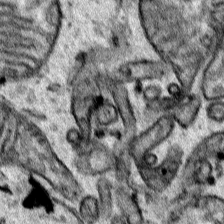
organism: Human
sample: Mitochondria in HCT116 cells